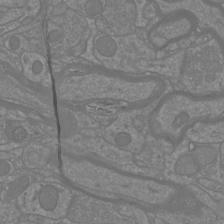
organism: Mouse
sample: Cortical neurons